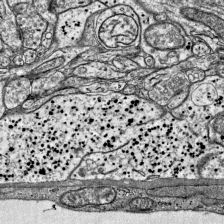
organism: Mouse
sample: Visual Cortex